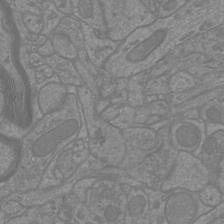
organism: Mouse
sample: Cortical neurons